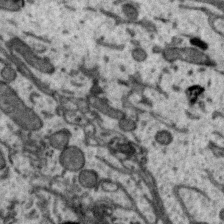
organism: Zebra finch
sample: Brain